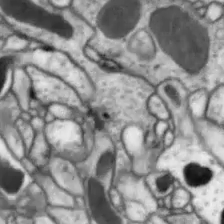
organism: Drosophila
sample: Optic lobe